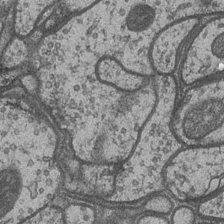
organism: Drosophila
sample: Optic medulla